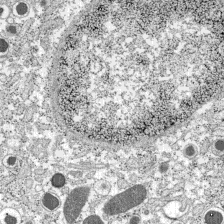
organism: C57BL Mouse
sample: Pancreatic islet